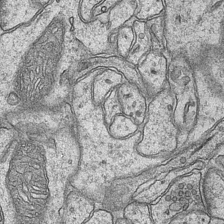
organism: Mouse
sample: CA1 Hippocampus